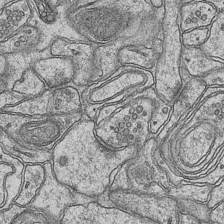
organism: Mouse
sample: CA1 Hippocampus